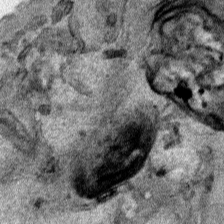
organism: Human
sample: Mitochondria in HCT116 cells